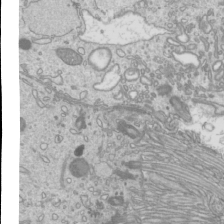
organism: Mouse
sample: Cilia; mouse epididymis